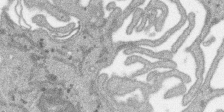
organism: Human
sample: Lung epithelial cells infected with SARS-CoV-2